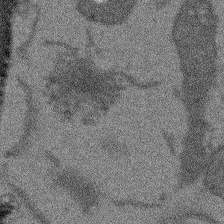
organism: Arabidopsis thaliana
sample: Root tip